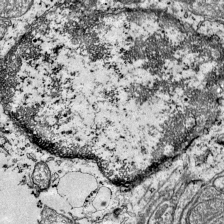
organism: Mouse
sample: Visual Cortex